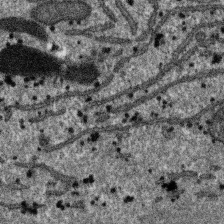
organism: Human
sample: Lung epithelial cells infected with SARS-CoV-2